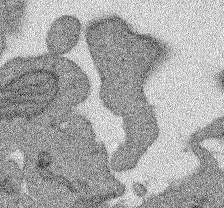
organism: Human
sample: HeLa cells